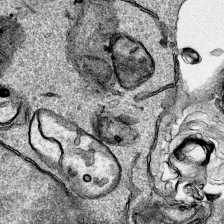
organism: Human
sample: Mitochondria in HCT116 cells